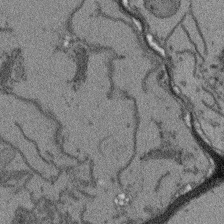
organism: Arabidopsis thaliana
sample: Root tip